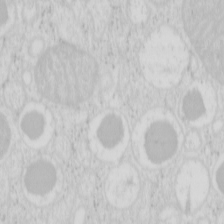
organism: Mouse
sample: Pancreas